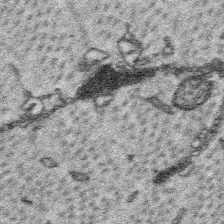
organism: Platynereis dumerilii